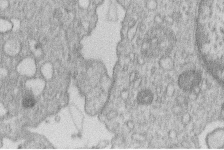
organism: Human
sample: Macrophage cells